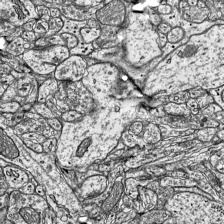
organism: Mouse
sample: Visual Cortex